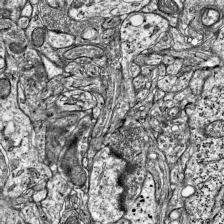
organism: Mouse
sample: Visual Cortex